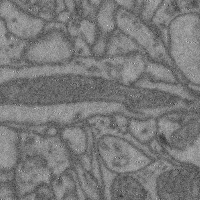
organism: Mouse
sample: Cerebral cortex